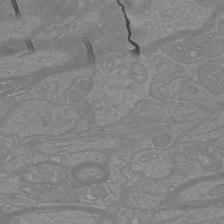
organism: Mouse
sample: Cortical neurons